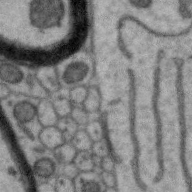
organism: Zebra finch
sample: Brain